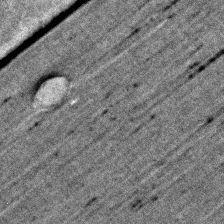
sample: Trachea